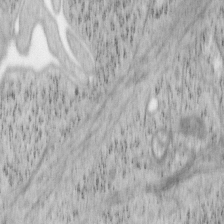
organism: Human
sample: HeLa cells